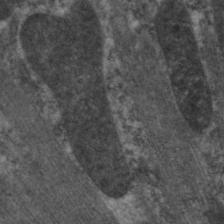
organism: C. elegans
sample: Pharynx